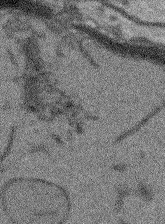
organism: Arabidopsis thaliana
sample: Root tip